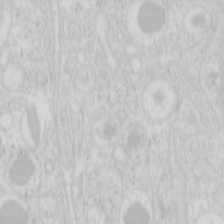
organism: Mouse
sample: Pancreas